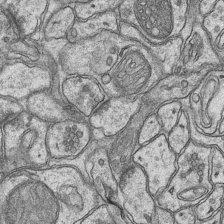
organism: Mouse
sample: CA1 Hippocampus